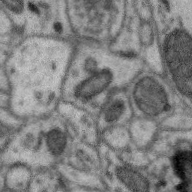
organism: Zebra finch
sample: Brain